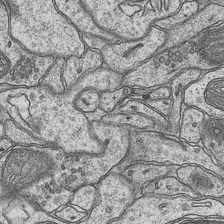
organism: Mouse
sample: CA1 Hippocampus